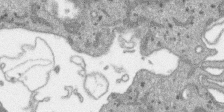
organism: Human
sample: Lung epithelial cells infected with SARS-CoV-2